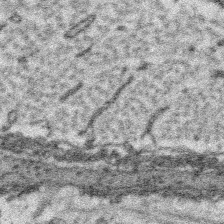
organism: Platynereis dumerilii